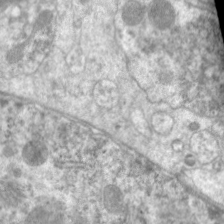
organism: C. elegans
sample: Pharynx